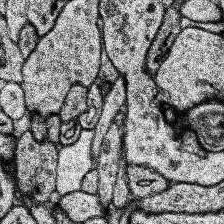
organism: Human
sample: Temporal Lobe